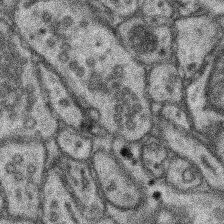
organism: Mouse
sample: Somatosensory cortex neuropil